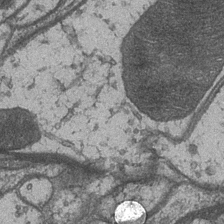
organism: Drosophila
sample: Optic medulla